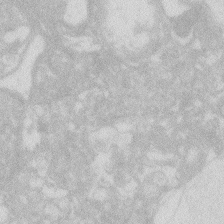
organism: Zebrafish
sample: Macrophage